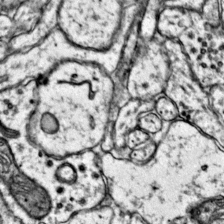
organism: Mouse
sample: Primary visual cortex